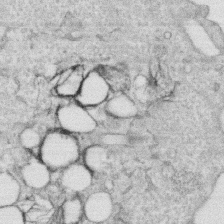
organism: Human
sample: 1205lu cells